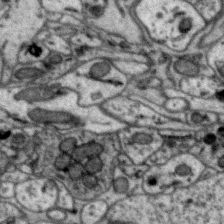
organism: Zebra finch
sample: Brain